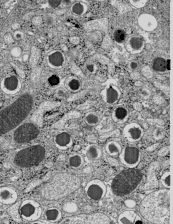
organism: C57BL Mouse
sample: Pancreatic islet